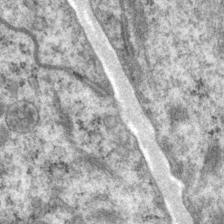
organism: P. pacificus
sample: Pharynx